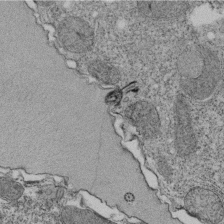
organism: Tetrahymena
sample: Cilia in tetrahymena